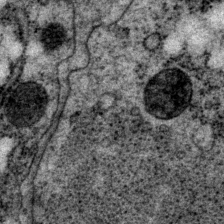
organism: P. pacificus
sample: Pharynx